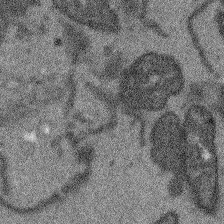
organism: Arabidopsis thaliana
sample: Root tip